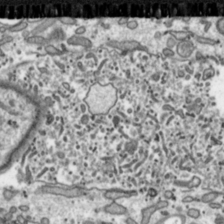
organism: Toxoplasma gondii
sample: Parasites in a vacuole inside a host cell